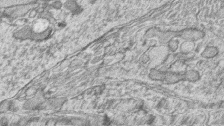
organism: Zebrafish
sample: synaptic ribbons in rod cells and cone cells